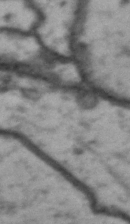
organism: Drosophila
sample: Brain